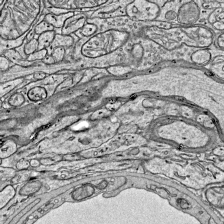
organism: Mouse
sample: Visual Cortex